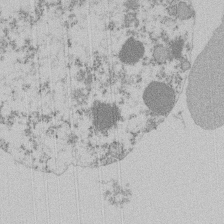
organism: Mouse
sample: Activated Pmel transgenic CD8+ T Cells